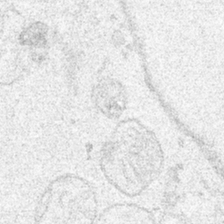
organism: Human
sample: Mitochondria in HCT116 cells